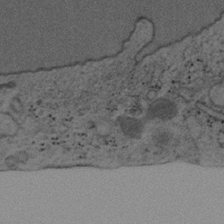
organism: Human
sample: HeLa cells